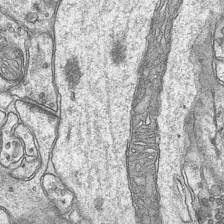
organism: Mouse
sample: CA1 Hippocampus